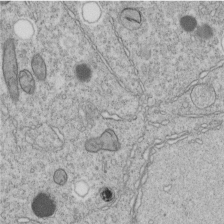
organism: C. elegans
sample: C. elegans embryo early stage